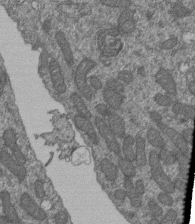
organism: Human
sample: Retinal organoid Rod and Cone cells